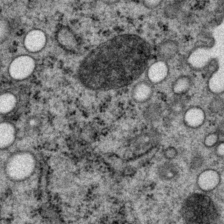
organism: P. pacificus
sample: Pharynx